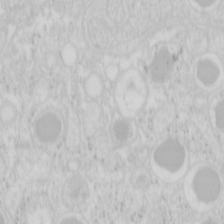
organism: Mouse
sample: Pancreas